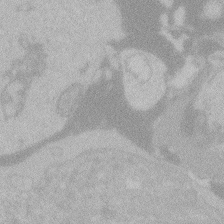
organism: Zebrafish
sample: Macrophage infected with Toxoplasma gondii